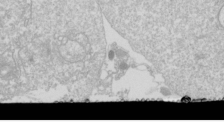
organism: Drosophila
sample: Cell division; meiosis; drosophila spermatocytes